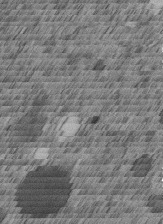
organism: C. elegans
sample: C. elegans embryo early stage